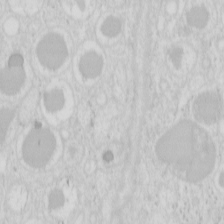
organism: Mouse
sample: Pancreas